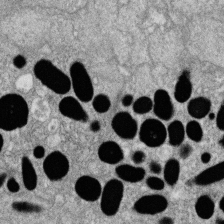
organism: Zebrafish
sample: Cilia; retinal pigment epithelium